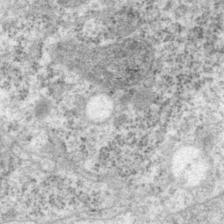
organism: P. pacificus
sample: Pharynx